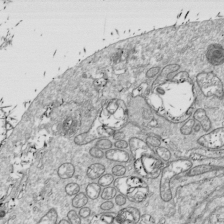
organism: Drosophila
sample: Cell division; meiosis; drosophila spermatocytes